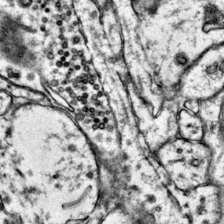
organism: Mouse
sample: Primary visual cortex